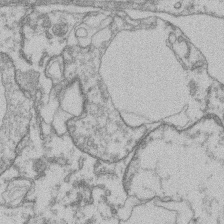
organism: Mouse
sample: T cell stromal cell synapse